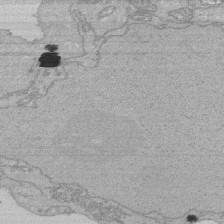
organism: Human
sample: Activated Jurkat CD4+ T cells